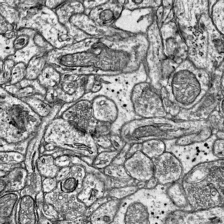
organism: Mouse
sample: Visual Cortex